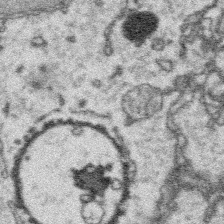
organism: Platynereis dumerilii